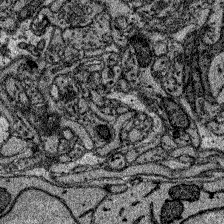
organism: Zebrafish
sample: Larval olfactory bulb